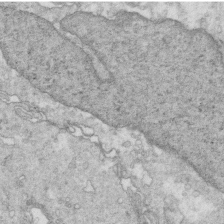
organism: Mouse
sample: Multiciliated cells